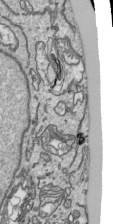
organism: Human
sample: Mitochondria in HCT116 cells